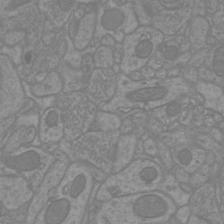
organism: Mouse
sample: Cortical neurons